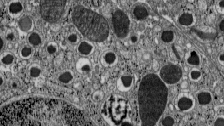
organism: C57BL Mouse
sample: Pancreatic islet